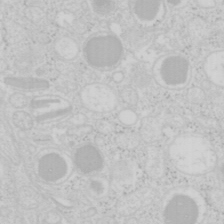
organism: Mouse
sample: Pancreas